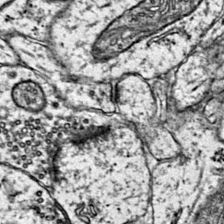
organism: Mouse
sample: Primary visual cortex